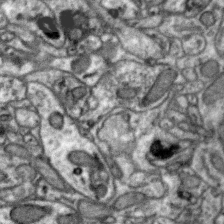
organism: Zebra finch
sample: Brain